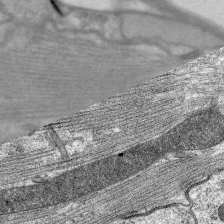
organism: C. elegans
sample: Pharynx